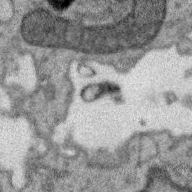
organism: Zebra finch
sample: Brain